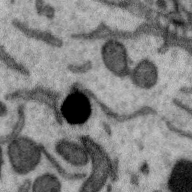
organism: Zebra finch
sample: Brain